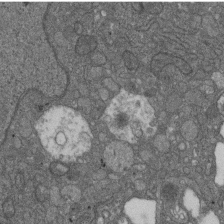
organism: Drosophila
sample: Nephrocyte